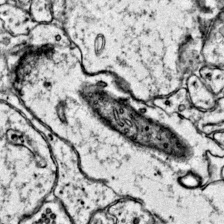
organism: Mouse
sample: Primary visual cortex